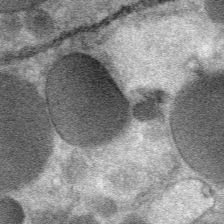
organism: Mouse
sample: Mouse Salivary gland